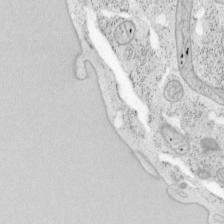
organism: Mouse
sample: OT-I killer T cells with ID8 ovarian cancer cells